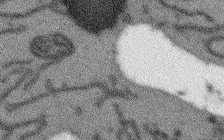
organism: Arabidopsis thaliana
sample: Root tip